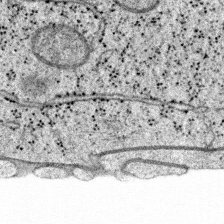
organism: Human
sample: HeLa cells